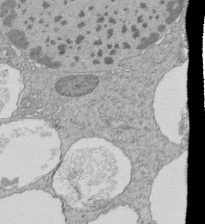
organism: Tetrahymena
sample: Cilia in tetrahymena